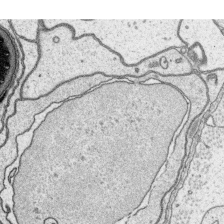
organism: Platynereis dumerilii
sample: Parapodia